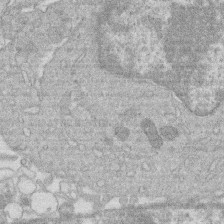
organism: Human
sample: Macrophage cells